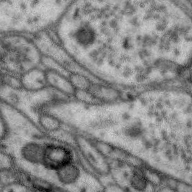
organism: Zebra finch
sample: Brain